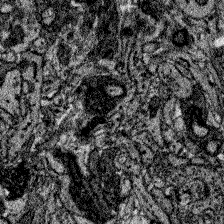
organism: Zebrafish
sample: Larval olfactory bulb